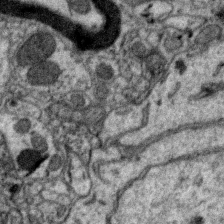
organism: Zebra finch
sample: Brain